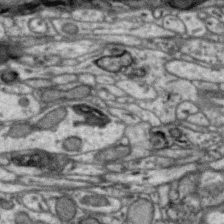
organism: Zebra finch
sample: Brain